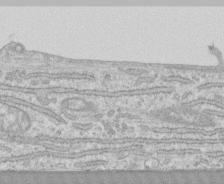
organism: Human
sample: CRL-1474